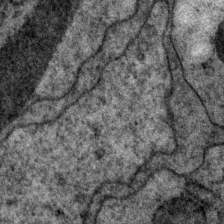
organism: P. pacificus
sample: Pharynx